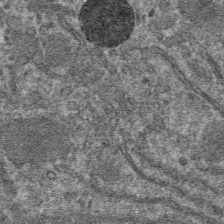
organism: Mouse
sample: Mouse hepatocytes